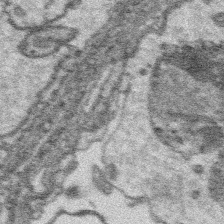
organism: Platynereis dumerilii